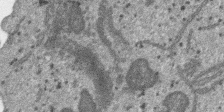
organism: Human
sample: Lung epithelial cells infected with SARS-CoV-2